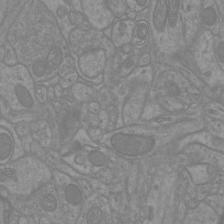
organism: Mouse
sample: Cortical neurons